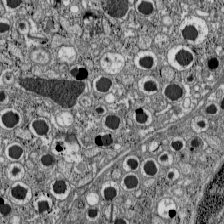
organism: C57BL Mouse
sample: Pancreatic islet